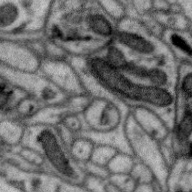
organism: Zebra finch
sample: Brain